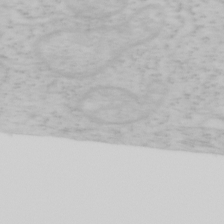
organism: Mouse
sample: OT-I killer T cells with ID8 ovarian cancer cells